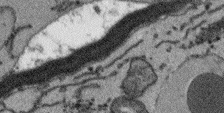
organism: Arabidopsis thaliana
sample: Root tip